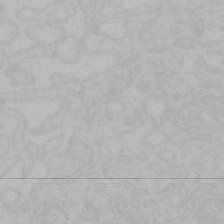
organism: Mouse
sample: Choroid plexus